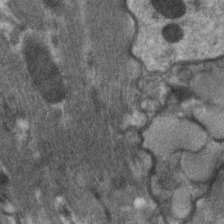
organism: C. elegans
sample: Pharynx